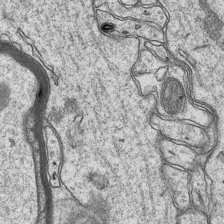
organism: Mouse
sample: CA1 Hippocampus